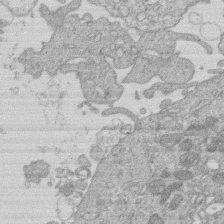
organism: Human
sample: Macrophage cells